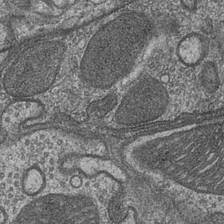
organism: Drosophila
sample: Optic medulla